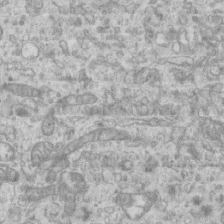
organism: Mouse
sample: Centriole in ependymal cells